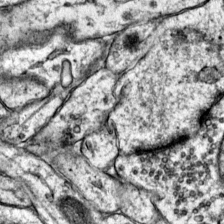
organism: Mouse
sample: Primary visual cortex